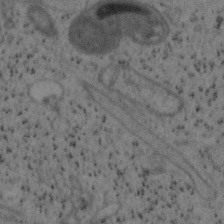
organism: Human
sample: HeLa cells